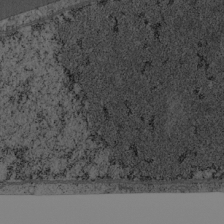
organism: African green monkey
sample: COS-7 cells